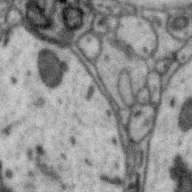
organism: Zebra finch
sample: Brain